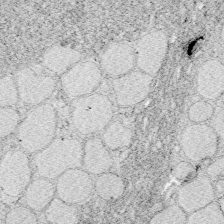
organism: Zebrafish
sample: Whole-Brain